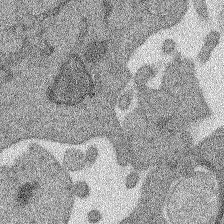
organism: Human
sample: HeLa cells